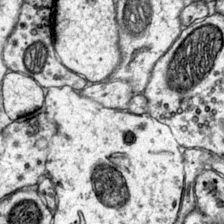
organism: Mouse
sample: Primary visual cortex